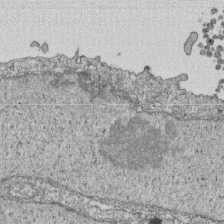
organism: Human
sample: HeLa cell HIV synapse